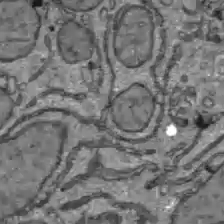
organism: C57BL Mouse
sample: Liver